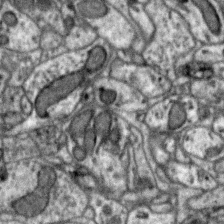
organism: Zebra finch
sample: Brain